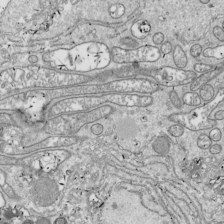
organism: Drosophila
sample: Cell division; meiosis; drosophila spermatocytes